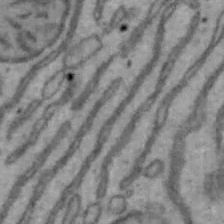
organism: Mouse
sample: Liver